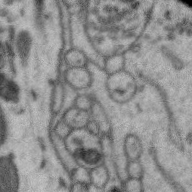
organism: Zebra finch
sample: Brain